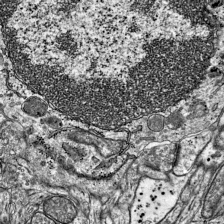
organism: Mouse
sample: Visual Cortex